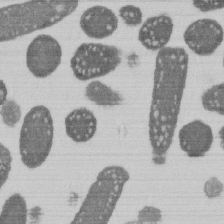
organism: E. coli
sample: Bacterial nucleoid